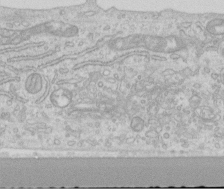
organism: Human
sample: Centriole in RPE cells